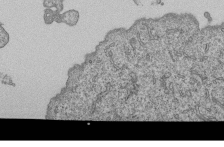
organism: Human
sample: MDA-MB-231 cells